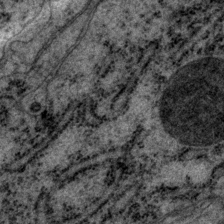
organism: P. pacificus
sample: Pharynx